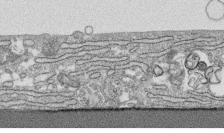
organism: Human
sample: CRL-1474